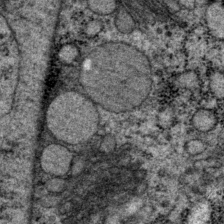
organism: P. pacificus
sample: Pharynx